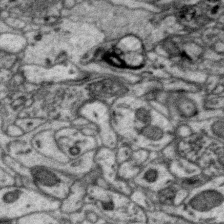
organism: Zebra finch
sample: Brain